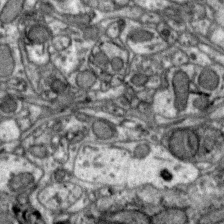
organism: Zebra finch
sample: Brain